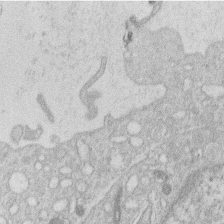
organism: Human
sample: Macrophage cells